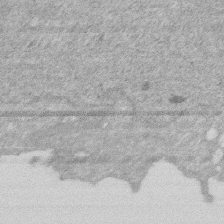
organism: Human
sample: HIV infected U937 cells